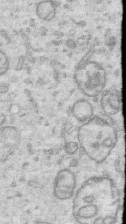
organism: Human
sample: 1205lu cells